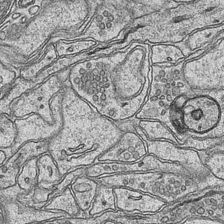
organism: Mouse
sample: CA1 Hippocampus